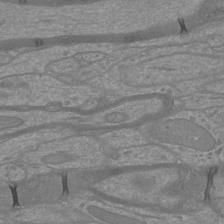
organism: Mouse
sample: Cortical neurons